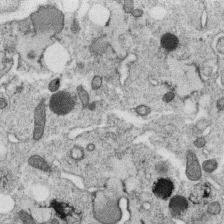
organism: C. elegans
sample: C. elegans oocyte; sperm cells